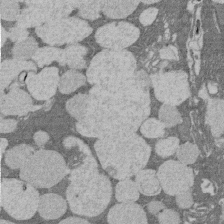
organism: Rat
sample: Salivary granule